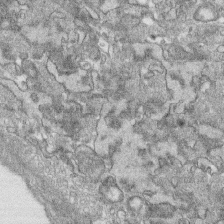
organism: Human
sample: CRL-1474